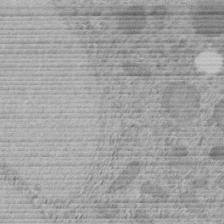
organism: C. elegans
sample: C. elegans embryo early stage